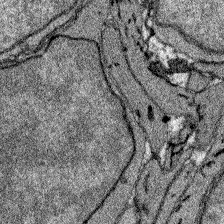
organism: Zebrafish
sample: Larval olfactory bulb